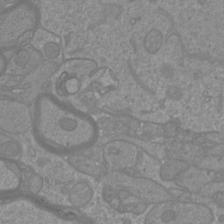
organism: Mouse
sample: Cortical neurons